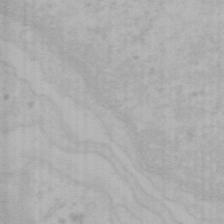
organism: Mouse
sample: Choroid plexus